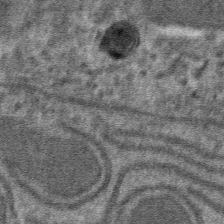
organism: Mouse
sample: Mouse hepatocytes